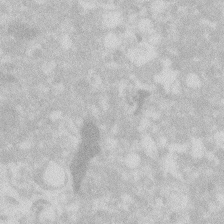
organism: Zebrafish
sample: Macrophage